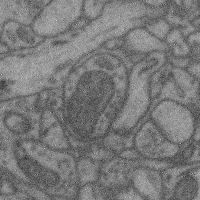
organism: Mouse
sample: Cerebral cortex